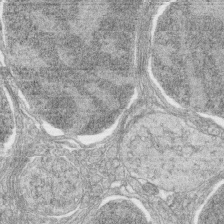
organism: Zebrafish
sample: synaptic ribbons in rod cells and cone cells